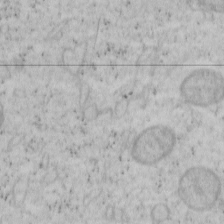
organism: Human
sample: HeLa cells